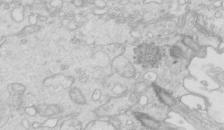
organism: Mouse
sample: Multiciliated cells